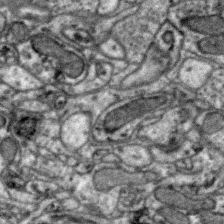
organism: Zebra finch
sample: Brain